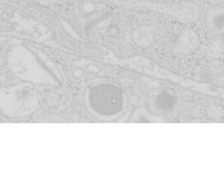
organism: Mouse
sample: Pancreas